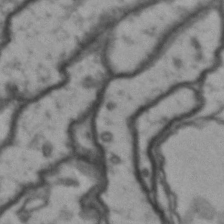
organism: Drosophila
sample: Brain